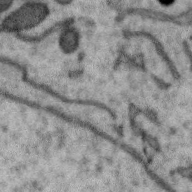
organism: Zebra finch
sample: Brain